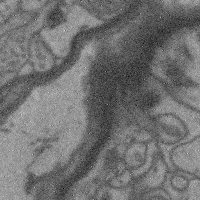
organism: Mouse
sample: Cerebral cortex